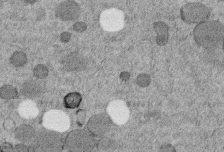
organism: C. elegans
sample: C. elegans embryo early stage